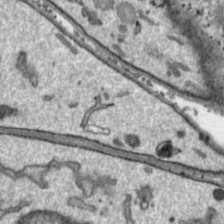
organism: Toxoplasma gondii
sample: Parasites in a vacuole inside a host cell